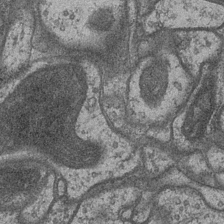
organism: Drosophila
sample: Optic medulla